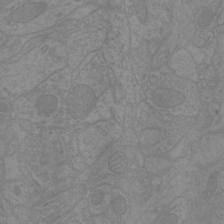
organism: Mouse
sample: Cortical neurons